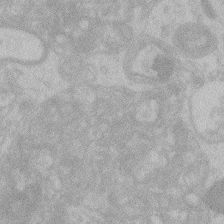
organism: Zebrafish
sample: Macrophage infected with Toxoplasma gondii